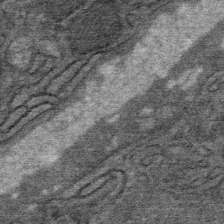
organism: Mouse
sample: Mouse Salivary gland